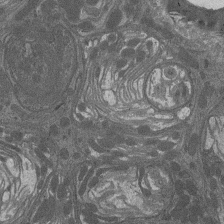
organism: Drosophila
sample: Antenna